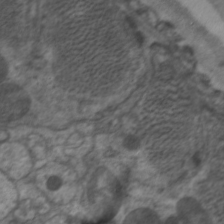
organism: C. elegans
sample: Pharynx